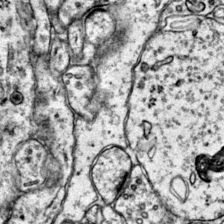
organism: Mouse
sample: Primary visual cortex